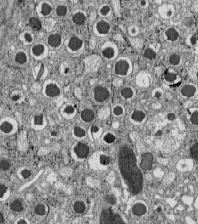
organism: C57BL Mouse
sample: Pancreatic islet